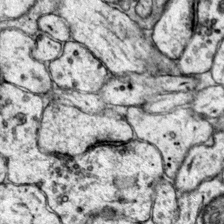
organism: Mouse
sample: Primary visual cortex